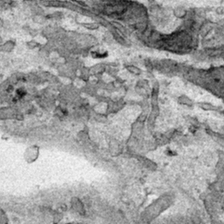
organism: Human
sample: Mitochondria in HCT116 cells